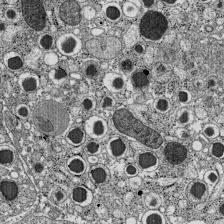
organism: C57BL Mouse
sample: Pancreatic islet